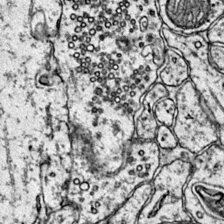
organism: Mouse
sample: Primary visual cortex